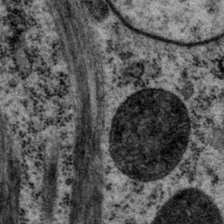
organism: P. pacificus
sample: Pharynx